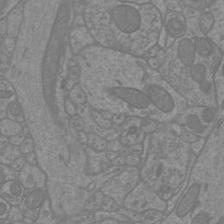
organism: Mouse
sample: Cortical neurons